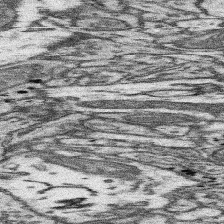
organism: Mouse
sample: Somatosensory cortex neuropil